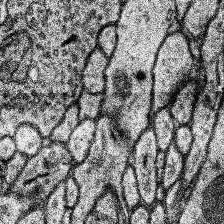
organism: Human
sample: Temporal Lobe